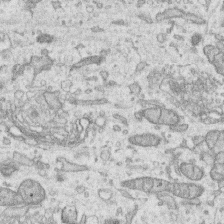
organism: Human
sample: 1205lu cells